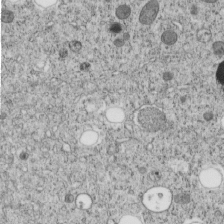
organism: C. elegans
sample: C. elegans embryo early stage